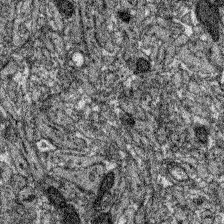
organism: Zebrafish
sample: Larval olfactory bulb